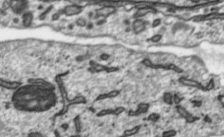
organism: Toxoplasma gondii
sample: Parasites in a vacuole inside a host cell